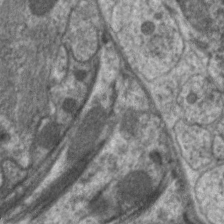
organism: C. elegans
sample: Pharynx